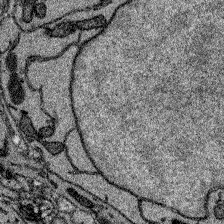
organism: Zebrafish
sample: Larval olfactory bulb